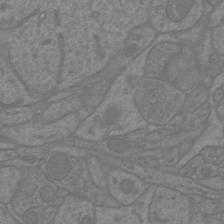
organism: Mouse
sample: Cortical neurons